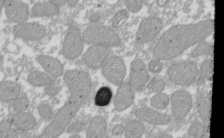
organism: Xenopus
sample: Cilia; centrioles in frog embryo cells